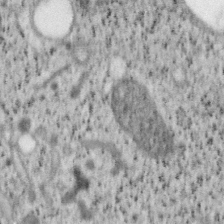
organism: Mouse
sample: OT-I killer T cells with ID8 ovarian cancer cells